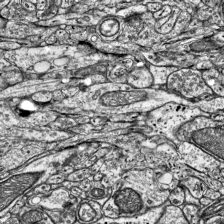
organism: Mouse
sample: Visual Cortex